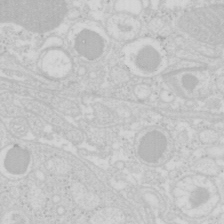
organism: Mouse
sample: Pancreas